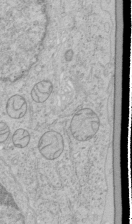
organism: Human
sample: Mitochondria in HCT116 cells